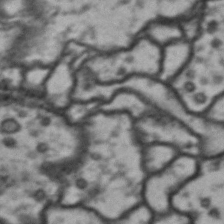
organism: Drosophila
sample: Brain